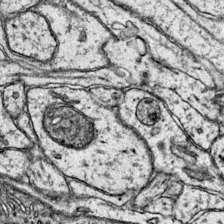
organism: Mouse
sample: Primary visual cortex